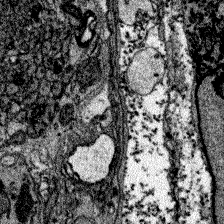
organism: Zebrafish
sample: Larval olfactory bulb